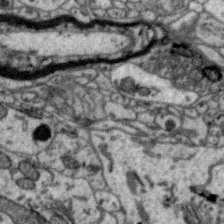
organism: Zebra finch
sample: Brain